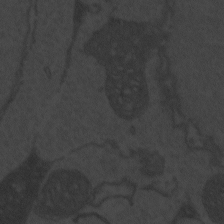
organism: Zebrafish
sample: Macrophage infected with Toxoplasma gondii